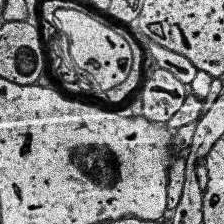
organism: Human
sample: Temporal Lobe